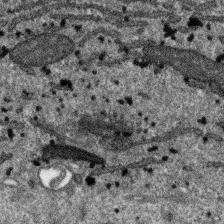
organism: Human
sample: Lung epithelial cells infected with SARS-CoV-2